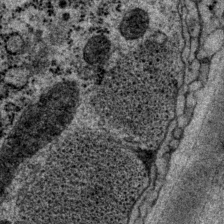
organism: P. pacificus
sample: Pharynx